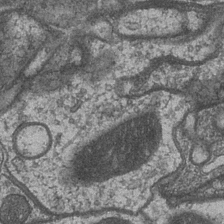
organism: Drosophila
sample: Optic medulla